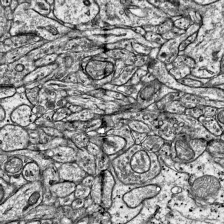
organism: Mouse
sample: Visual Cortex